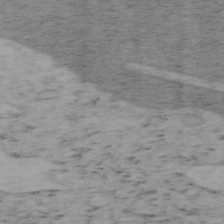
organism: Mouse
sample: OT-I killer T cells with ID8 ovarian cancer cells